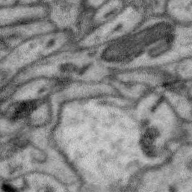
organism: Zebra finch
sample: Brain